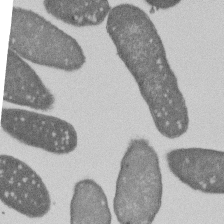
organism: E. coli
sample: Bacterial nucleoid